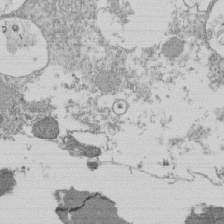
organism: Tetrahymena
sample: Cilia in tetrahymena